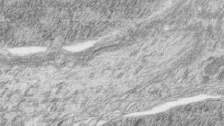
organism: Zebrafish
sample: synaptic ribbons in rod cells and cone cells